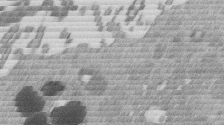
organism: Mouse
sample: Dividing mouse embryo 1 cell stage